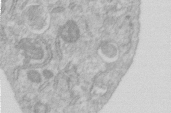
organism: Human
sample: Centriole in RPE cells